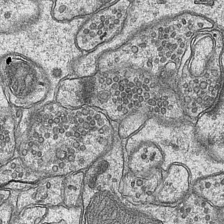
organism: Mouse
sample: CA1 Hippocampus